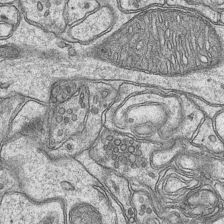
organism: Mouse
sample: CA1 Hippocampus